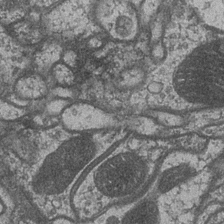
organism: Drosophila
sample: Optic medulla